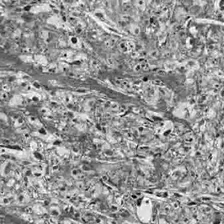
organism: Drosophila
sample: Optic lobe